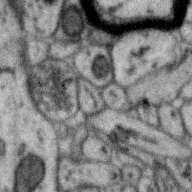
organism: Zebra finch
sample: Brain